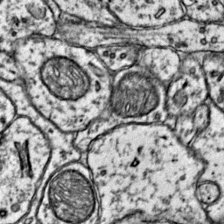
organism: Mouse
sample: Primary visual cortex